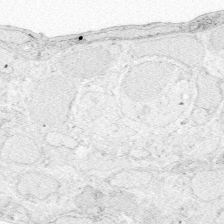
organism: Zebrafish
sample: Whole-Brain